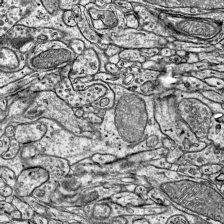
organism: Mouse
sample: Visual Cortex